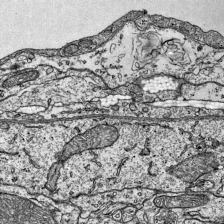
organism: Mouse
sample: Visual Cortex